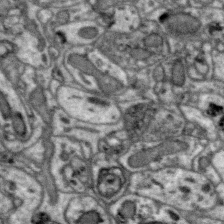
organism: Zebra finch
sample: Brain